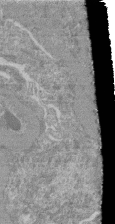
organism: Mouse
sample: Glomerulus